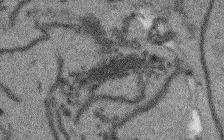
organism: Arabidopsis thaliana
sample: Root tip